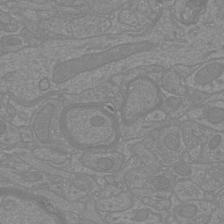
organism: Mouse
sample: Cortical neurons